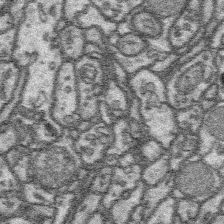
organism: Platynereis dumerilii